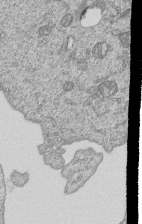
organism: Human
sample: MDA-MB-231 cells